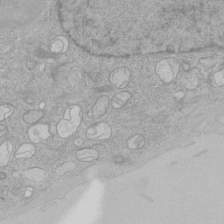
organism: Human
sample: Mitochondria in HCT116 cells